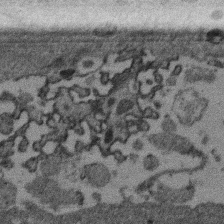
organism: Mouse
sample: Dividing mouse embryo 1 cell stage